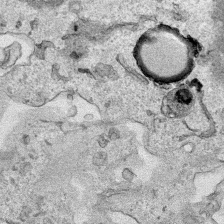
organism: Human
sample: Mitochondria in HCT116 cells